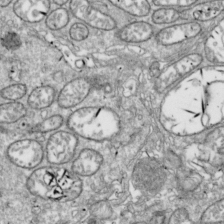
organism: Drosophila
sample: Cell division; meiosis; drosophila spermatocytes